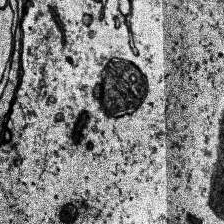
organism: Human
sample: Temporal Lobe